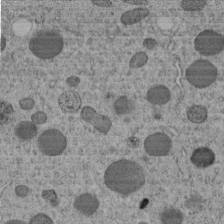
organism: C. elegans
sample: C. elegans embryo early stage